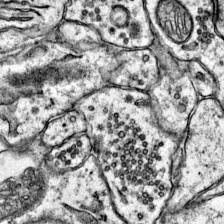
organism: Mouse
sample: Primary visual cortex